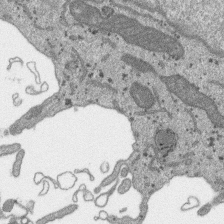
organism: Human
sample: Lung epithelial cells infected with SARS-CoV-2